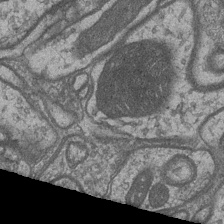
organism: Drosophila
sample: Optic medulla